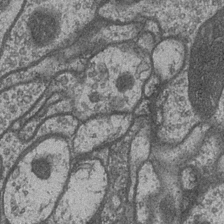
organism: Drosophila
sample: Optic medulla